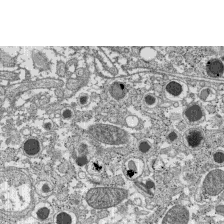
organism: C57BL Mouse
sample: Pancreatic islet